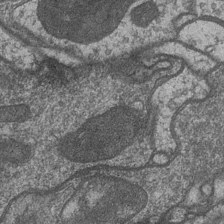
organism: Drosophila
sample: Optic medulla